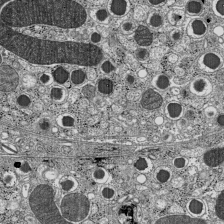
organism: C57BL Mouse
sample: Pancreatic islet